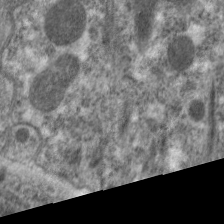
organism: C. elegans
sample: Pharynx